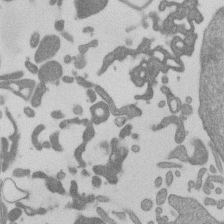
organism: Mouse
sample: Dividing mouse embryo 1 cell stage